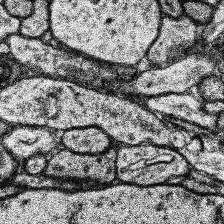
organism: Human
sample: Temporal Lobe